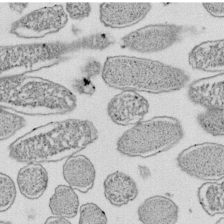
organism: E. coli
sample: Bacterial nucleoid